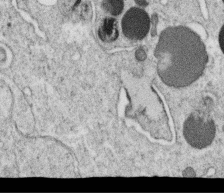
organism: C. elegans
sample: C. elegans oocyte; sperm cells